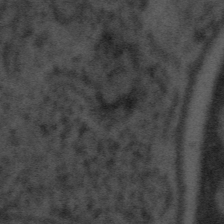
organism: Tuwongella immobilis